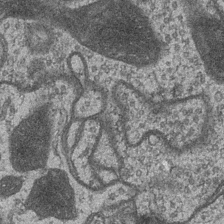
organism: Drosophila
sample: Optic medulla